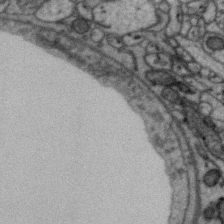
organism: Zebra finch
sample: Brain